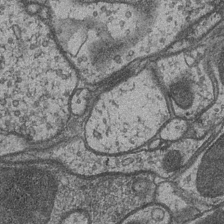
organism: Drosophila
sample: Optic medulla